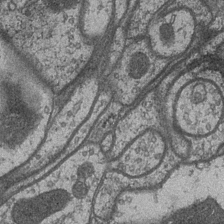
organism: Drosophila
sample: Optic medulla